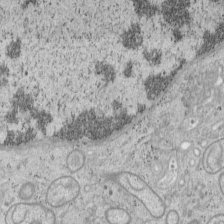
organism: Mouse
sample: OT-I killer T cells with ID8 ovarian cancer cells